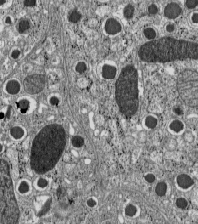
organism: C57BL Mouse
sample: Pancreatic islet